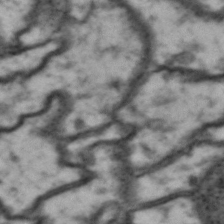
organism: Drosophila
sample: Brain